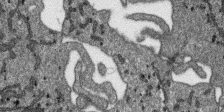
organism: Human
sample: Lung epithelial cells infected with SARS-CoV-2